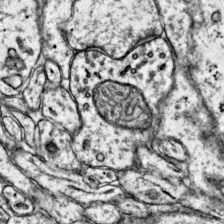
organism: Mouse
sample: Primary visual cortex